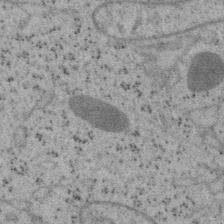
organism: Human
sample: HeLa cells